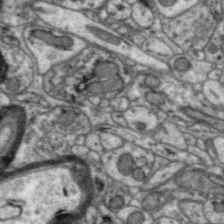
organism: Zebra finch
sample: Brain